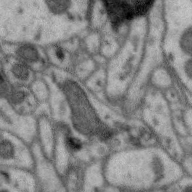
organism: Zebra finch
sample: Brain